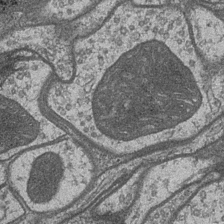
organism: Drosophila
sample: Optic medulla